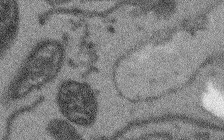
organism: Arabidopsis thaliana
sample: Root tip